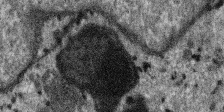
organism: Human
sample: Lung epithelial cells infected with SARS-CoV-2